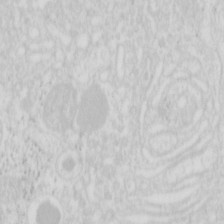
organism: Mouse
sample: Pancreas